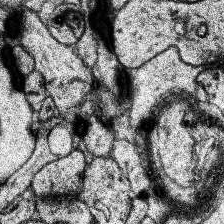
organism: Human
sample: Temporal Lobe